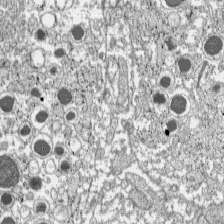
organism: C57BL Mouse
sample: Pancreatic islet